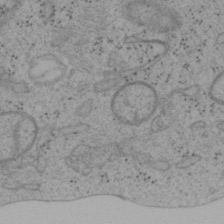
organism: Human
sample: HeLa cells